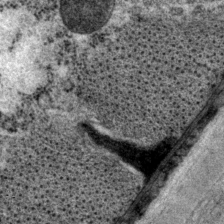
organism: P. pacificus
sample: Pharynx